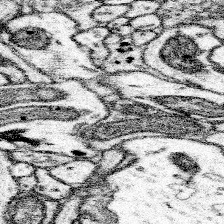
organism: Mouse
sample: Somatosensory cortex neuropil